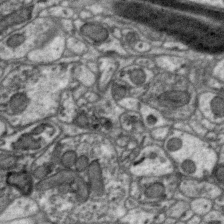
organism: Zebra finch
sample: Brain